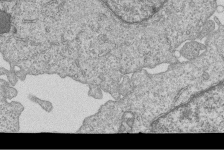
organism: Human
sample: MDA-MB-231 cells